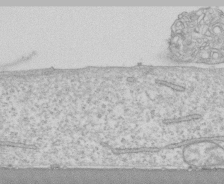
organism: Human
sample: CRL-1474